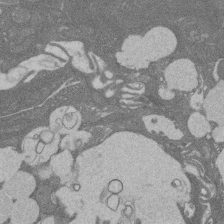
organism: Rat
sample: Salivary granule